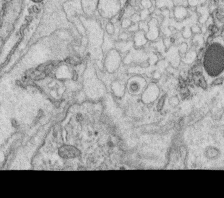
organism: C. elegans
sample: C. elegans oocyte; sperm cells